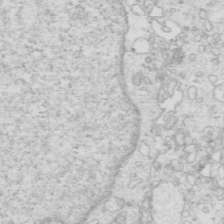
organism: Mouse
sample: Multiciliated cells